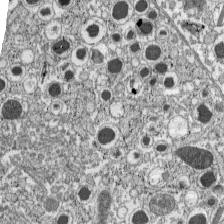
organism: C57BL Mouse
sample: Pancreatic islet